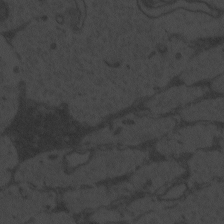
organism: Zebrafish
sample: Macrophage infected with Toxoplasma gondii